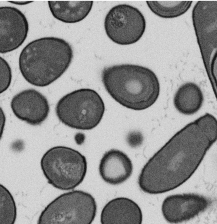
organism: B. subtilis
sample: Bacterial spore